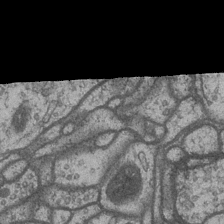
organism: Drosophila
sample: Optic medulla